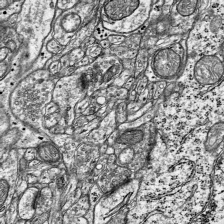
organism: Mouse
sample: Visual Cortex